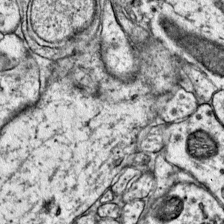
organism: Mouse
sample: Primary visual cortex